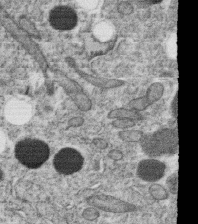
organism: C. elegans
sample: C. elegans oocyte; sperm cells